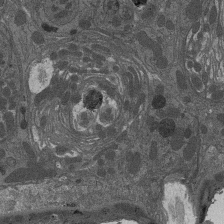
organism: Drosophila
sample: Antenna